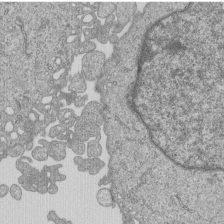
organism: Human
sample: MDA-MB-231 cells